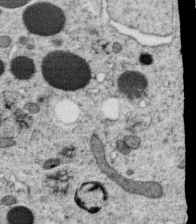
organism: C. elegans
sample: C. elegans oocyte; sperm cells